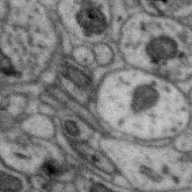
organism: Zebra finch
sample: Brain